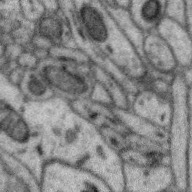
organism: Zebra finch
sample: Brain